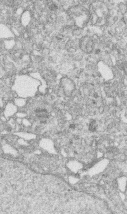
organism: Human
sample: HeLa cell HIV synapse